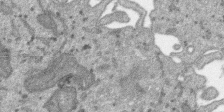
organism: Human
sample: Lung epithelial cells infected with SARS-CoV-2